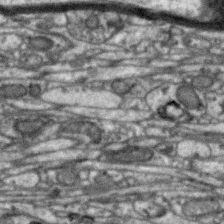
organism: Zebra finch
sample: Brain